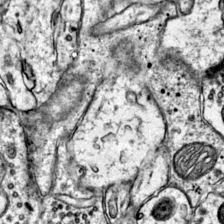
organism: Mouse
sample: Primary visual cortex